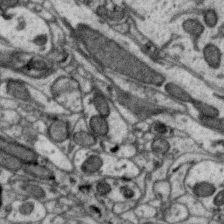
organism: Zebra finch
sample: Brain